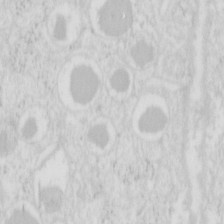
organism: Mouse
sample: Pancreas